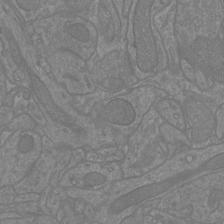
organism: Mouse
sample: Cortical neurons